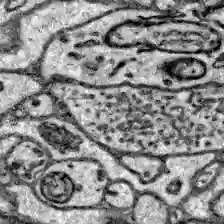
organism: Zebrafish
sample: Brain